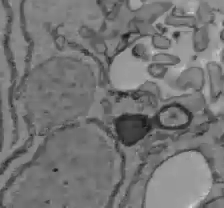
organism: C57BL Mouse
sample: Liver